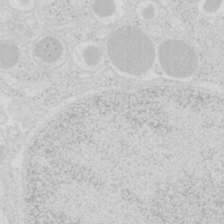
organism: Mouse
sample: Pancreas